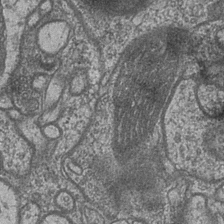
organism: Drosophila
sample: Optic medulla